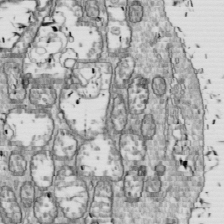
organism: Drosophila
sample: Cell division; meiosis; drosophila spermatocytes